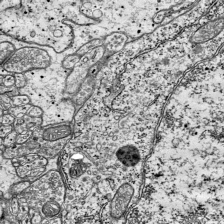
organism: Mouse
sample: Visual Cortex